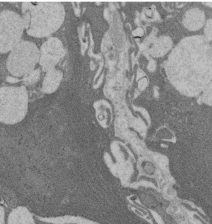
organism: Rat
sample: Salivary granule